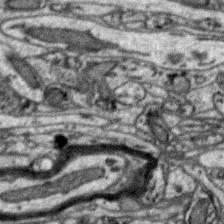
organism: Zebra finch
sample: Brain